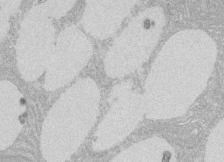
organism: Rat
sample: Salivary granule